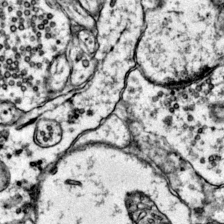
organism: Mouse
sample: Primary visual cortex